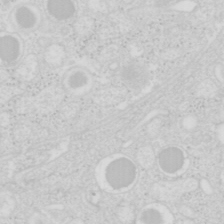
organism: Mouse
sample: Pancreas